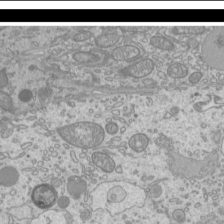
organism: Mouse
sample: Cilia; mouse epididymis